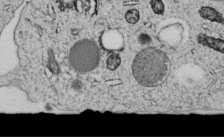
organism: C. elegans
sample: C. elegans embryo early stage